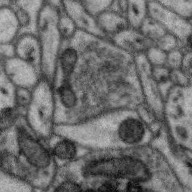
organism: Zebra finch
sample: Brain